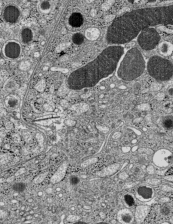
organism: C57BL Mouse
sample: Pancreatic islet